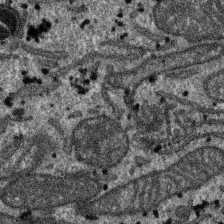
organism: Human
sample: Lung epithelial cells infected with SARS-CoV-2